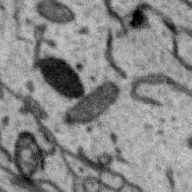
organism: Zebra finch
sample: Brain